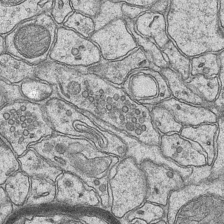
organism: Mouse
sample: CA1 Hippocampus